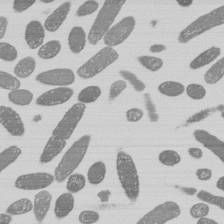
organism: E. coli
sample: Bacterial nucleoid